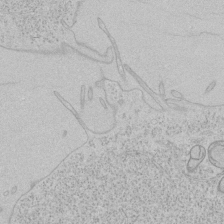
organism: Human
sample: Mitochondria in HCT116 cells